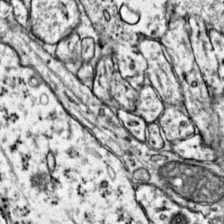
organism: Mouse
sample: Primary visual cortex